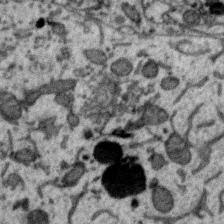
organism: Zebra finch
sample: Brain